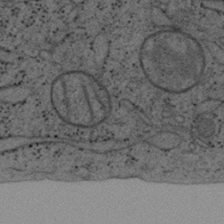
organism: Human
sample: HeLa cells